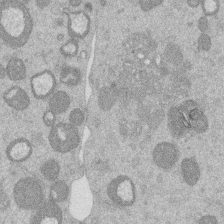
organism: Mouse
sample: Dividing mouse embryo 1 cell stage